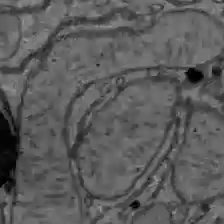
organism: C57BL Mouse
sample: Liver